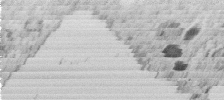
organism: C. elegans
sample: C. elegans embryo early stage